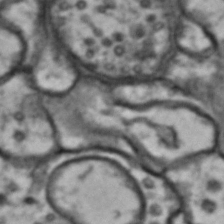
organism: Drosophila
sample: Brain